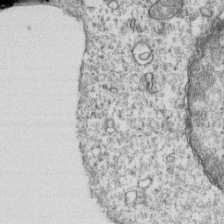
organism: Mouse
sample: Activated OT-1 CD8+ T cells